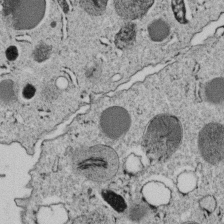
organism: C. elegans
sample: C. elegans embryo early stage